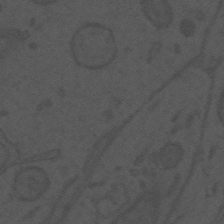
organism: Mouse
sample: Suprachiasmatic nucleus